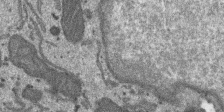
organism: Human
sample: Lung epithelial cells infected with SARS-CoV-2